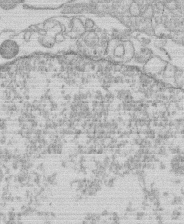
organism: Human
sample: Macrophage cells